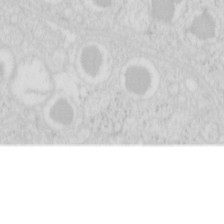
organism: Mouse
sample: Pancreas